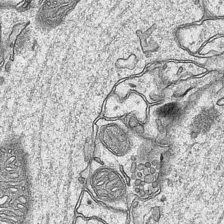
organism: Mouse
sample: CA1 Hippocampus